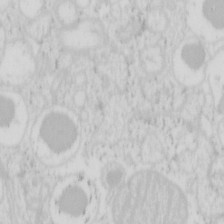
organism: Mouse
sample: Pancreas